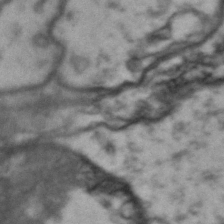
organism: Drosophila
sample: Brain